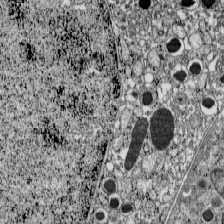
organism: C57BL Mouse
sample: Pancreatic islet